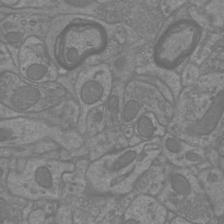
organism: Mouse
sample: Cortical neurons